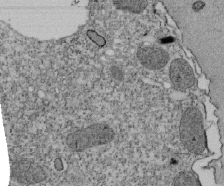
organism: Tetrahymena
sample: Cilia in tetrahymena